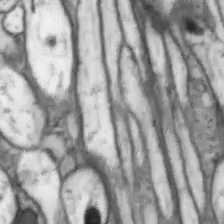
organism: Drosophila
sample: Optic lobe